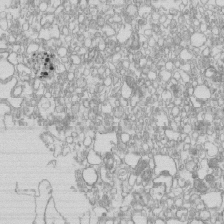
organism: Mouse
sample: Macrophages